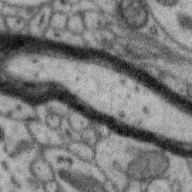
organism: Zebra finch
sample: Brain